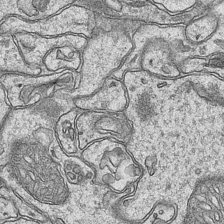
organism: Mouse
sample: CA1 Hippocampus